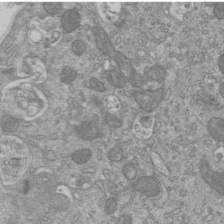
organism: Mouse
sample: ED-1 cell nuclei; centrioles